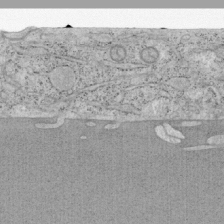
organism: Human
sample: HeLa cells